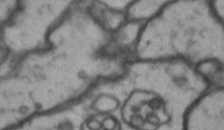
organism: Drosophila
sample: Brain